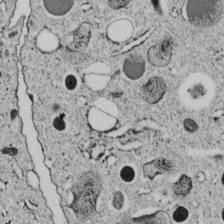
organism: C. elegans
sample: C. elegans embryo early stage